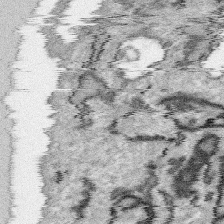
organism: Human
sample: HeLa cells